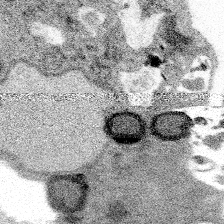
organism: Spongilla lacustris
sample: Multiple